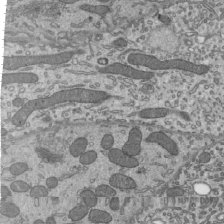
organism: Mouse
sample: Mouse epididymis efferent ductule cilia